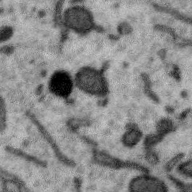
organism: Zebra finch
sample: Brain